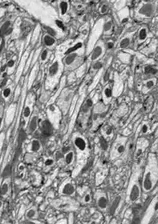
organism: Drosophila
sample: Optic lobe